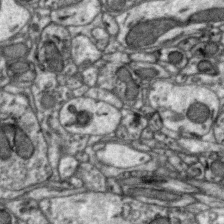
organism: Zebra finch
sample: Brain